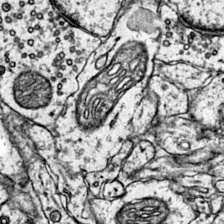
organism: Mouse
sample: Primary visual cortex